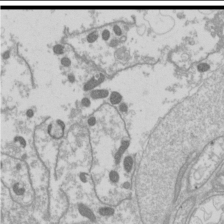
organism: Drosophila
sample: Cell division; meiosis; drosophila spermatocytes